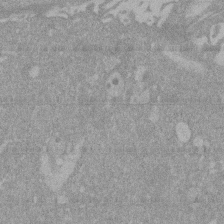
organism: Mouse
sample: ED-1 cell nuclei; centrioles